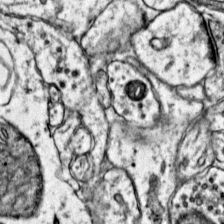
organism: Mouse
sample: Primary visual cortex